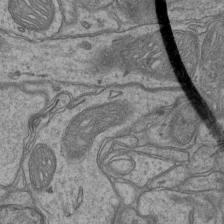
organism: Mouse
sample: CA1 Hippocampus